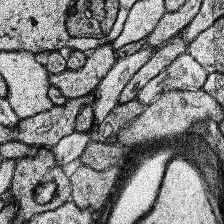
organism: Human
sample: Temporal Lobe